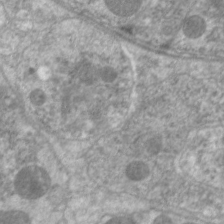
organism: C. elegans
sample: Pharynx